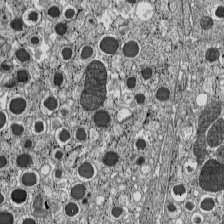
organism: C57BL Mouse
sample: Pancreatic islet